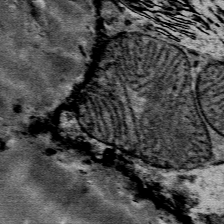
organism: Mouse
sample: Mouse Salivary gland